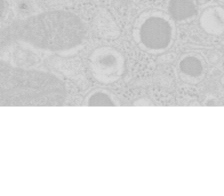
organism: Mouse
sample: Pancreas